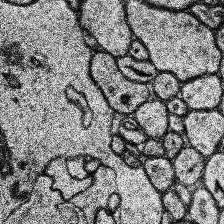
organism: Human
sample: Temporal Lobe